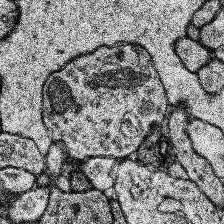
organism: Human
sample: Temporal Lobe